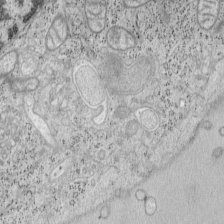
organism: Mouse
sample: OT-I killer T cells with ID8 ovarian cancer cells